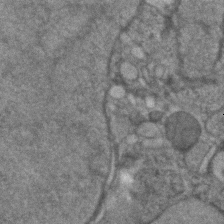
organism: Human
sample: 1205lu cells